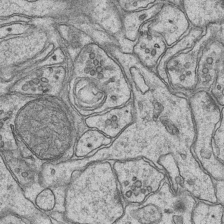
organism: Mouse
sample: CA1 Hippocampus